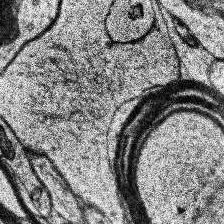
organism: Human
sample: Temporal Lobe